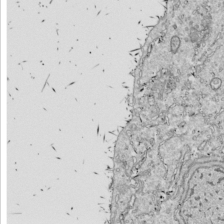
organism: Drosophila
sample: Cell division; meiosis; drosophila spermatocytes